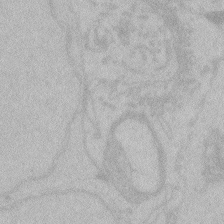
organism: Zebrafish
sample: Macrophage infected with Toxoplasma gondii